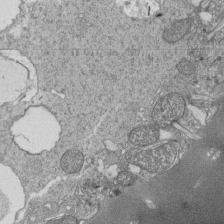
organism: Tetrahymena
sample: Cilia in tetrahymena